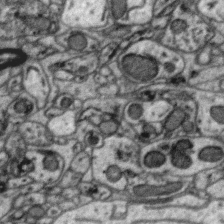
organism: Zebra finch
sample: Brain